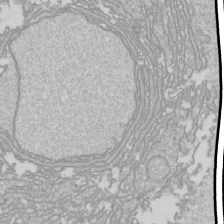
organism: Drosophila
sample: Cell division; meiosis; drosophila spermatocytes